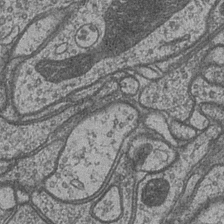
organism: Drosophila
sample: Optic medulla